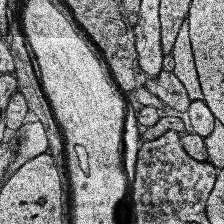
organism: Human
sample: Temporal Lobe